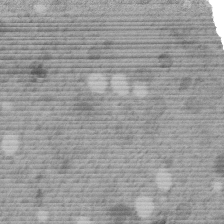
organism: C. elegans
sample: C. elegans embryo early stage